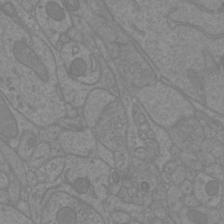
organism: Mouse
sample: Cortical neurons